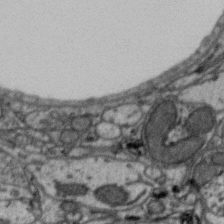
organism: Zebra finch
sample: Brain